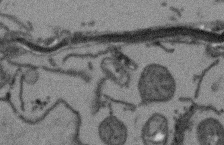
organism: Arabidopsis thaliana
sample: Root tip